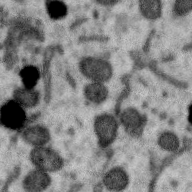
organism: Zebra finch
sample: Brain